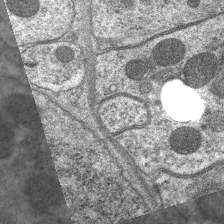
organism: C. elegans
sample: Pharynx